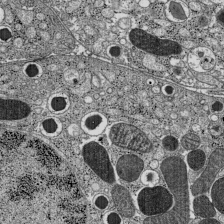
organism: C57BL Mouse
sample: Pancreatic islet